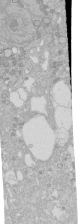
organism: Human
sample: Caco-2 cells